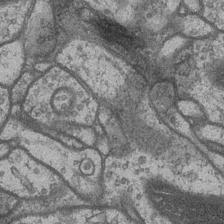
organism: Drosophila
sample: Optic medulla